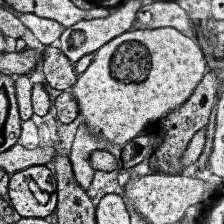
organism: Human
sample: Temporal Lobe